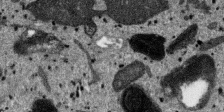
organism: Human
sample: Lung epithelial cells, uninfected (mock) control